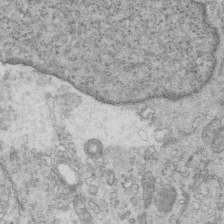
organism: Mouse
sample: Multiciliated cells